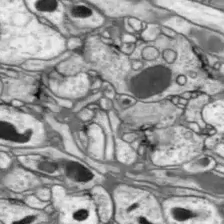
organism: Drosophila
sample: Optic lobe